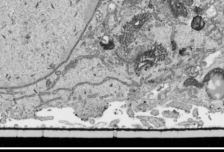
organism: Human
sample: Mitochondria in HCT116 cells